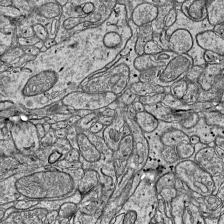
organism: Mouse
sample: Visual Cortex